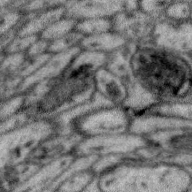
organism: Zebra finch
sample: Brain